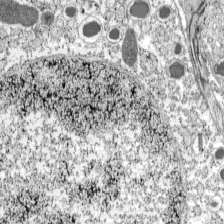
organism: C57BL Mouse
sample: Pancreatic islet